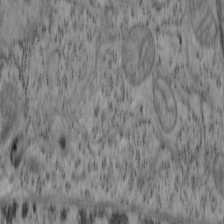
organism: Human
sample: HeLa cells